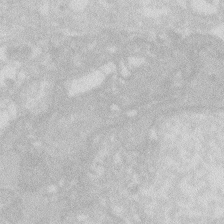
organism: Zebrafish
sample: Macrophage